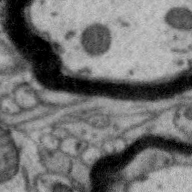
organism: Zebra finch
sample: Brain